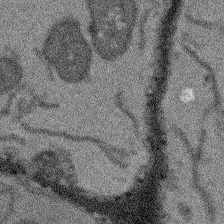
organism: Arabidopsis thaliana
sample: Root tip